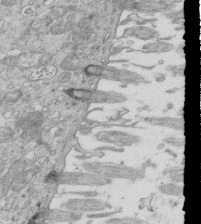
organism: Mouse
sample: Multiciliated cells